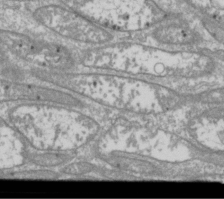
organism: Drosophila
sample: Cell division; meiosis; drosophila spermatocytes